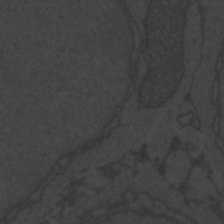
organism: Zebrafish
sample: Macrophage infected with Toxoplasma gondii